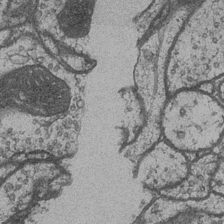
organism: Drosophila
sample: Optic medulla